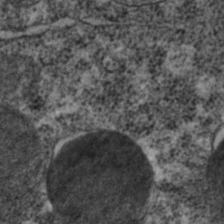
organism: C. elegans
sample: C. elegans embryo